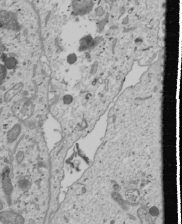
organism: Human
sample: Mitochondria in U2OS cells